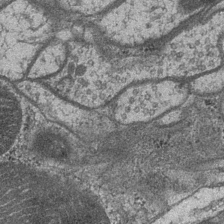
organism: Drosophila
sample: Optic medulla